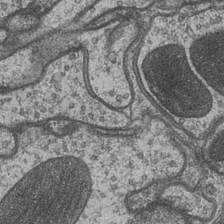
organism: Drosophila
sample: Optic medulla